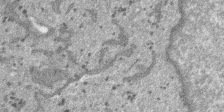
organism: Human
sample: Lung epithelial cells infected with SARS-CoV-2